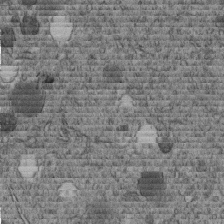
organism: C. elegans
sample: C. elegans embryo early stage